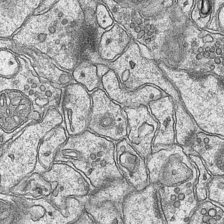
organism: Mouse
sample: CA1 Hippocampus